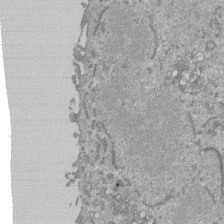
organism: Mouse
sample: ED-1 cell nuclei; centrioles